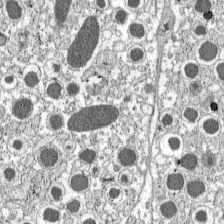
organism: C57BL Mouse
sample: Pancreatic islet